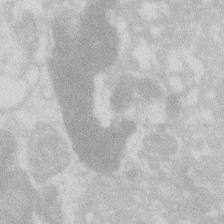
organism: Zebrafish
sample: Macrophage